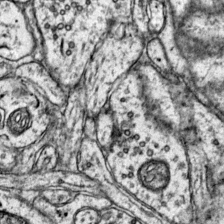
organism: Mouse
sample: Primary visual cortex